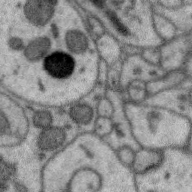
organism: Zebra finch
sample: Brain